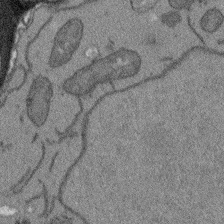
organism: Arabidopsis thaliana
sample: Root tip